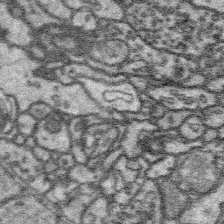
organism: Platynereis dumerilii